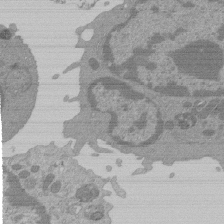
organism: Mouse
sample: Activated Pmel transgenic CD8+ T Cells